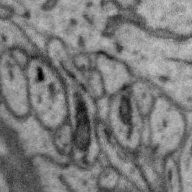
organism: Zebra finch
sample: Brain